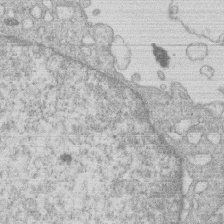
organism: Human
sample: Macrophage cells